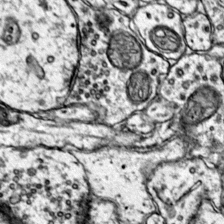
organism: Mouse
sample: Primary visual cortex